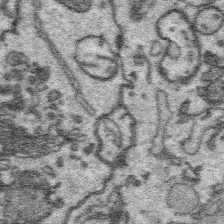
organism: Platynereis dumerilii